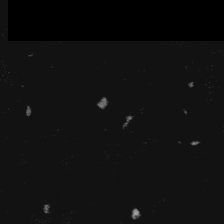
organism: Platynereis dumerilii